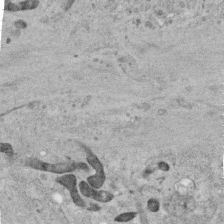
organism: Human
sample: Centriole in RPE cells